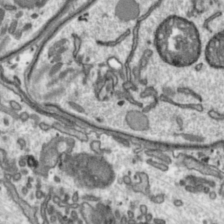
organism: Toxoplasma gondii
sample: Parasites in a vacuole inside a host cell